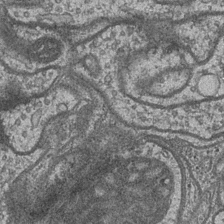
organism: Drosophila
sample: Optic medulla